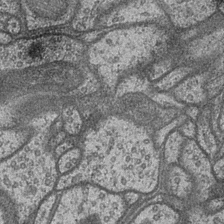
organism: Drosophila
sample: Optic medulla